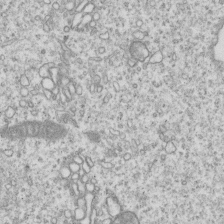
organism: Human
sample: MDA-MB-231 cells